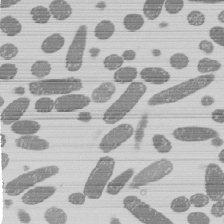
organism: E. coli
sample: Bacterial nucleoid